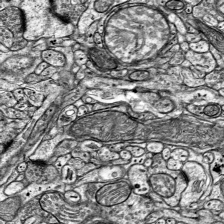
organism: Mouse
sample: Visual Cortex